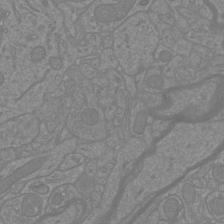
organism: Mouse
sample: Cortical neurons